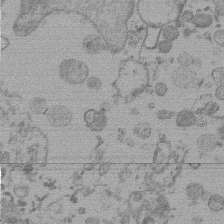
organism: Mouse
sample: Dividing mouse embryo 1 cell stage